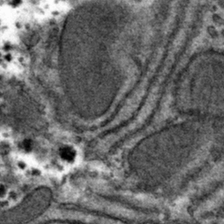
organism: Mouse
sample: Mouse hepatocytes